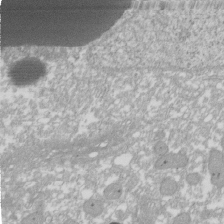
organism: Xenopus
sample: Cilia; centrioles in frog embryo cells